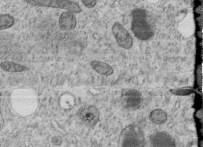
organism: C. elegans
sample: C. elegans embryo early stage